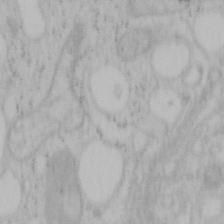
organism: Mouse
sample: OT-I killer T cells with ID8 ovarian cancer cells